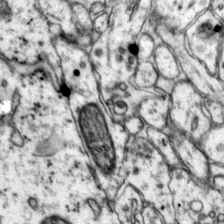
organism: Mouse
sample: Primary visual cortex